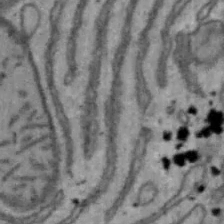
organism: Mouse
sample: Liver